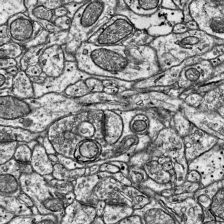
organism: Mouse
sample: Visual Cortex